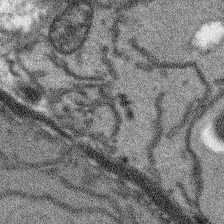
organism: Arabidopsis thaliana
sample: Root tip